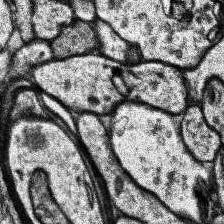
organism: Human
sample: Temporal Lobe